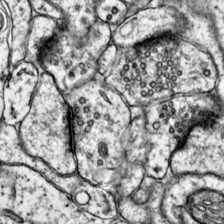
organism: Mouse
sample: Primary visual cortex